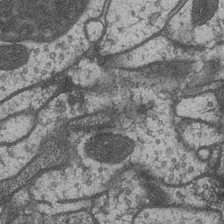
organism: Drosophila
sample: Optic medulla